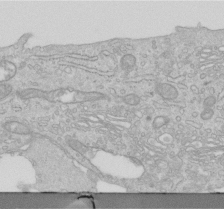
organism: Human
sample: Centriole in RPE cells